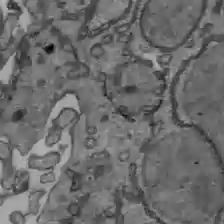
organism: C57BL Mouse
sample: Liver